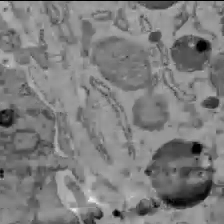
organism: C57BL Mouse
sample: Liver